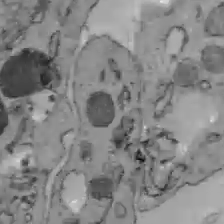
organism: C57BL Mouse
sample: Liver